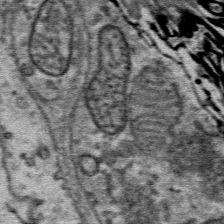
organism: Mouse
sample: Mouse Salivary gland